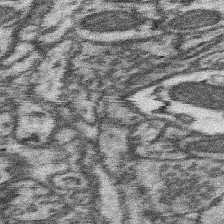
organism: Mouse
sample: Somatosensory cortex neuropil